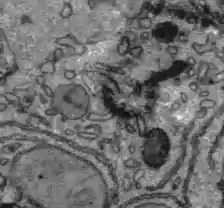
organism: C57BL Mouse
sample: Liver